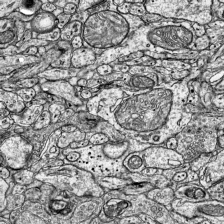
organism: Mouse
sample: Visual Cortex